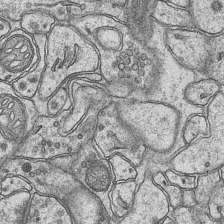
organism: Mouse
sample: CA1 Hippocampus